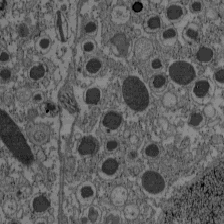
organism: C57BL Mouse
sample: Pancreatic islet